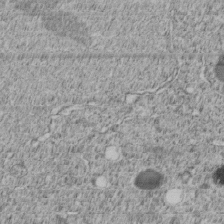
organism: C. elegans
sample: C. elegans embryo early stage